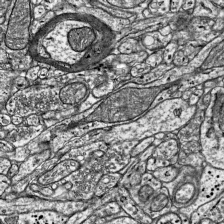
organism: Mouse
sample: Visual Cortex